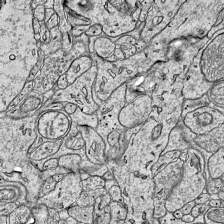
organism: Mouse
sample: Visual Cortex